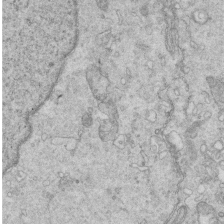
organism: Mouse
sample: Multiciliated cells